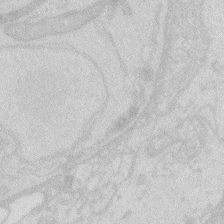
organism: Zebrafish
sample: Macrophage